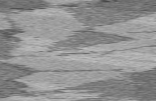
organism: C57BL Mouse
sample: Heart